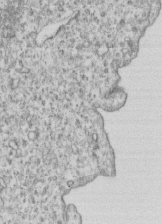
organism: Human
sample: MDA-MB-231 cells